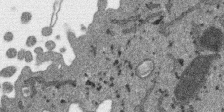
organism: Human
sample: Lung epithelial cells infected with SARS-CoV-2